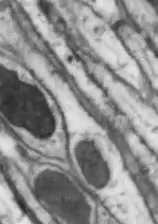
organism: Drosophila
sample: Optic lobe